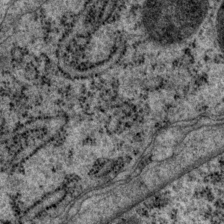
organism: P. pacificus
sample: Pharynx